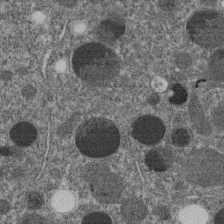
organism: C. elegans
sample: C. elegans embryo early stage